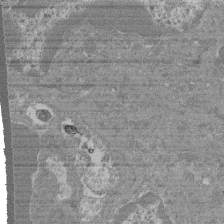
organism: Mouse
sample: Glomerulus